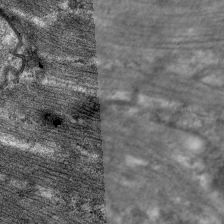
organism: C. elegans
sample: Pharynx